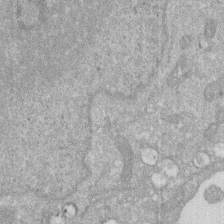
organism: Human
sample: HIV infected U937 cells